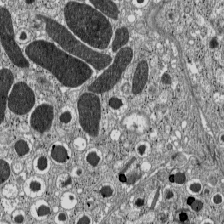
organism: C57BL Mouse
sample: Pancreatic islet